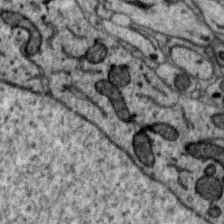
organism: Zebra finch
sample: Brain